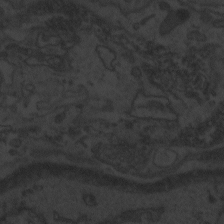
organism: Zebrafish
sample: Macrophage infected with Toxoplasma gondii